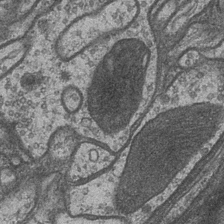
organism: Drosophila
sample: Optic medulla